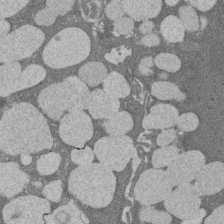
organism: Rat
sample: Salivary granule